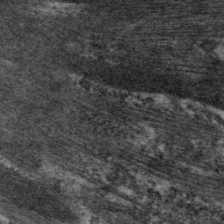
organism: C. elegans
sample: Pharynx